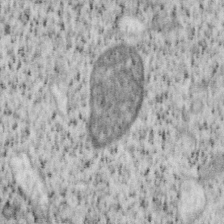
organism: Mouse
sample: OT-I killer T cells with ID8 ovarian cancer cells